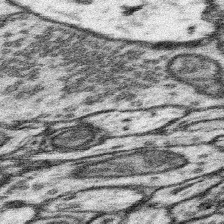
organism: Mouse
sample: Somatosensory cortex neuropil